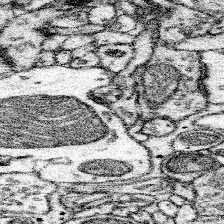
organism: Mouse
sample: Somatosensory cortex neuropil